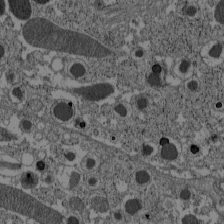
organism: C57BL Mouse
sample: Pancreatic islet